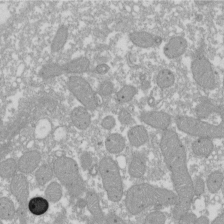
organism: Xenopus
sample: Cilia; centrioles in frog embryo cells